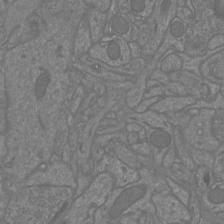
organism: Mouse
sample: Cortical neurons